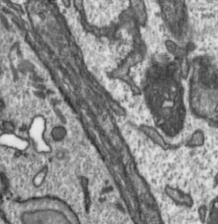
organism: Toxoplasma gondii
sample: Parasites in a vacuole inside a host cell